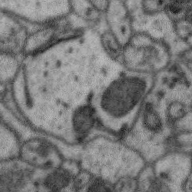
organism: Zebra finch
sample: Brain